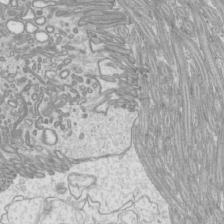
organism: Mouse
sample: Cilia; mouse epididymis